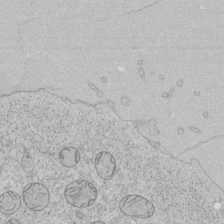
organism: Human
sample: Mitochondria in HCT116 cells